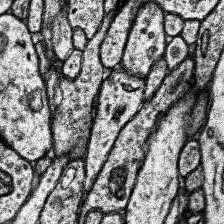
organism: Human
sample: Temporal Lobe